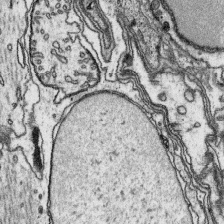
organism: Platynereis dumerilii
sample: Parapodia